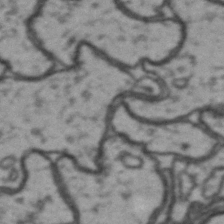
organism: Drosophila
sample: Brain